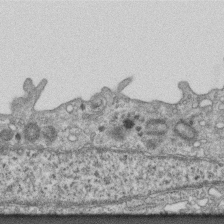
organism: Mouse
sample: Centriole in ependymal cells